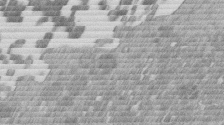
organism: Mouse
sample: Dividing mouse embryo 1 cell stage